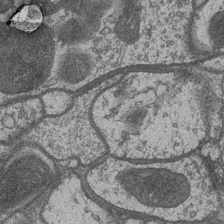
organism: Drosophila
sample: Optic medulla